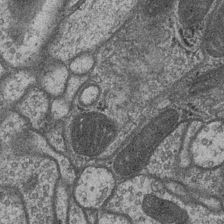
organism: Drosophila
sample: Optic medulla